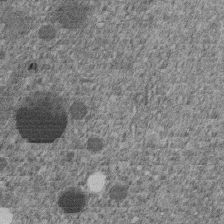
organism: C. elegans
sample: C. elegans embryo early stage